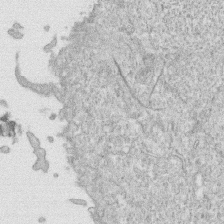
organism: Human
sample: HeLa cell HIV synapse